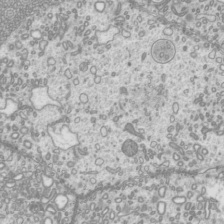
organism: Mouse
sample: Cilia; mouse epididymis